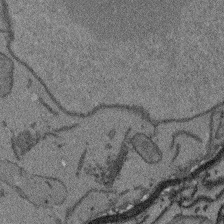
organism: Arabidopsis thaliana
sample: Root tip